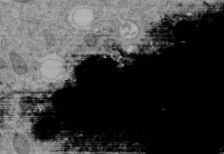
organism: C. elegans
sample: C. elegans embryo early stage